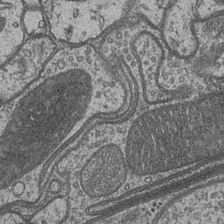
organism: Drosophila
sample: Optic medulla